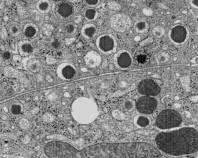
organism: C57BL Mouse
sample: Pancreatic islet